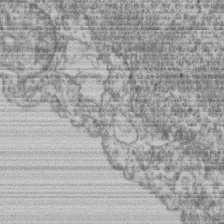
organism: Mouse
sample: T cell stromal cell synapse